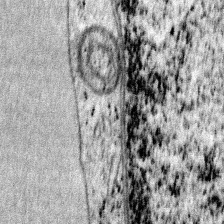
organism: Human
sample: HeLa cells